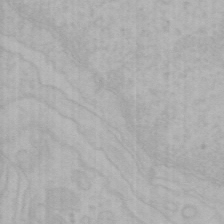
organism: Mouse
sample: Choroid plexus